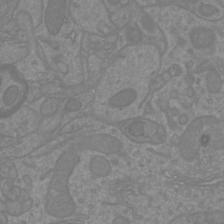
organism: Mouse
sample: Cortical neurons